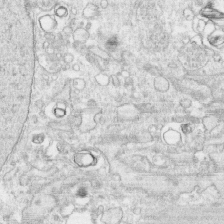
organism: Human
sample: CRL-1474